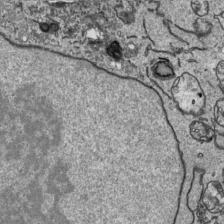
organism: Human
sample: Mitochondria in HCT116 cells